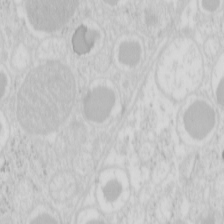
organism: Mouse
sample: Pancreas